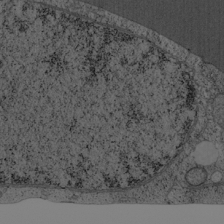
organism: African green monkey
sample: COS-7 cells